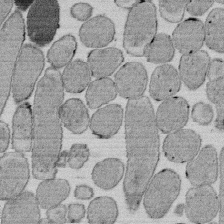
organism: E. coli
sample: Bacterial nucleoid